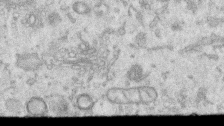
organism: Human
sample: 1205lu cells